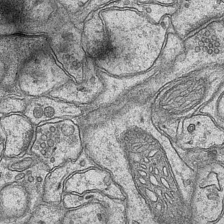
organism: Mouse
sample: CA1 Hippocampus